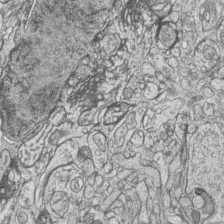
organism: Zebrafish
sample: synaptic ribbons in rod cells and cone cells